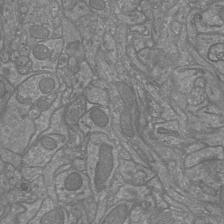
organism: Mouse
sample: Cortical neurons